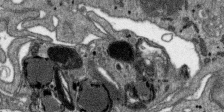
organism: Human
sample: Lung epithelial cells, uninfected (mock) control